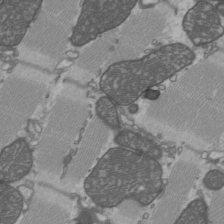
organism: C57BL Mouse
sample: Heart